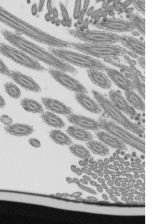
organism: Mouse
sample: Mouse epididymis efferent ductule cilia